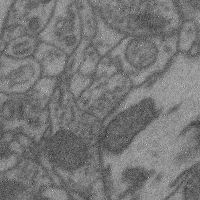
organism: Mouse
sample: Cerebral cortex